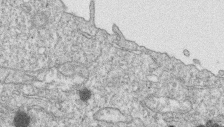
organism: Human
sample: HeLa cell HIV synapse